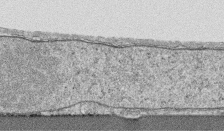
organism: Human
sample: CRL-1474